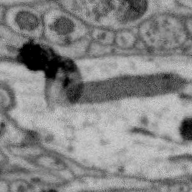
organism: Zebra finch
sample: Brain